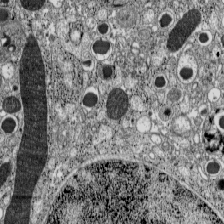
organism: C57BL Mouse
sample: Pancreatic islet